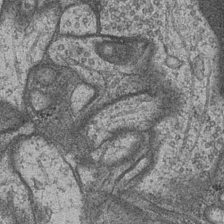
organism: Drosophila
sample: Optic medulla